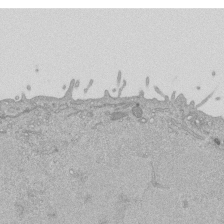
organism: Mouse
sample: ED-1 cell nuclei; centrioles